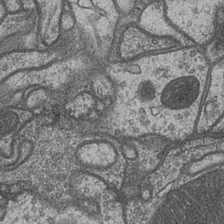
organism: Drosophila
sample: Optic medulla